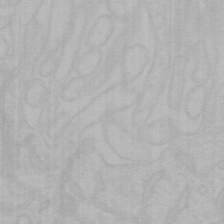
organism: Mouse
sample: Choroid plexus